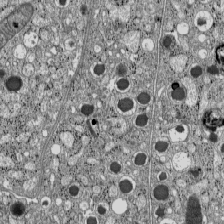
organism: C57BL Mouse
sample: Pancreatic islet